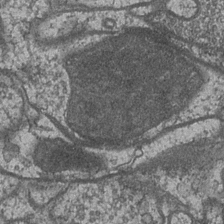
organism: Drosophila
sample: Optic medulla